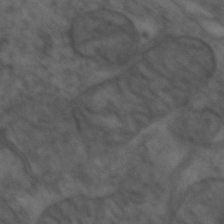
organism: Zebrafish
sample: Zebrafish embryo